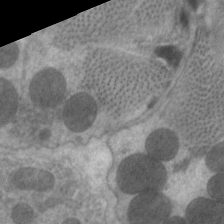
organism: C. elegans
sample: Pharynx